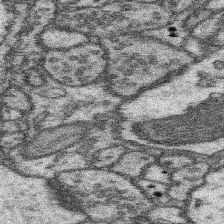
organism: Mouse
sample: Somatosensory cortex neuropil